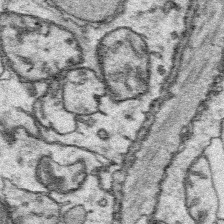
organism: Platynereis dumerilii